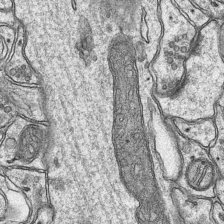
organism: Mouse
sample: CA1 Hippocampus